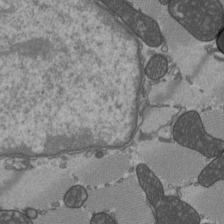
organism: C57BL Mouse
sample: Heart